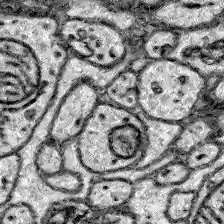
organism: Zebrafish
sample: Brain